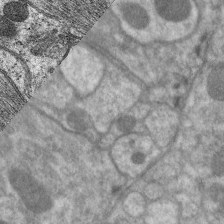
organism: C. elegans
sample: Pharynx